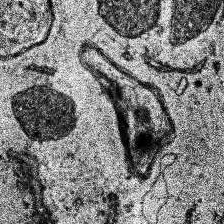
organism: Human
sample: Temporal Lobe